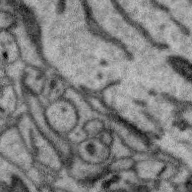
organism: Zebra finch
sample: Brain